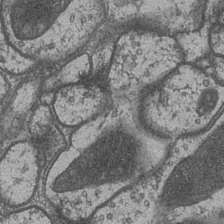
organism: Drosophila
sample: Optic medulla